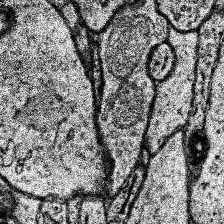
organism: Human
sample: Temporal Lobe